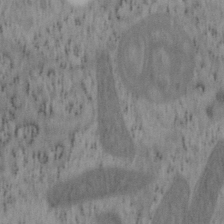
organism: Mouse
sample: OT-I killer T cells with ID8 ovarian cancer cells